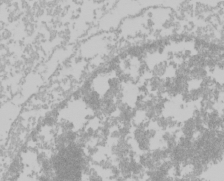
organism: Mouse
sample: Cancer cell death in ED-1 cells